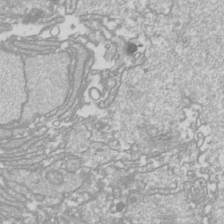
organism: Drosophila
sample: Cell division; meiosis; drosophila spermatocytes